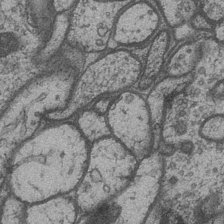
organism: Drosophila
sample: Optic medulla